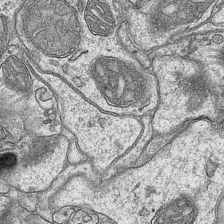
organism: Mouse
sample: CA1 Hippocampus